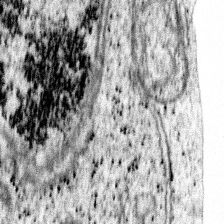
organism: Human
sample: HeLa cells